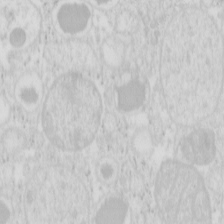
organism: Mouse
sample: Pancreas